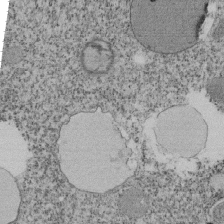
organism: Tetrahymena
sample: Cilia in tetrahymena